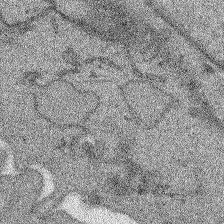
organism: Human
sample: HeLa cells